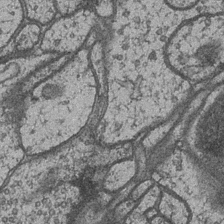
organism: Drosophila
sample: Optic medulla